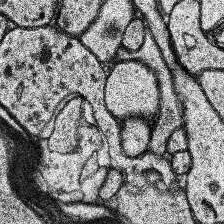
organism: Human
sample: Temporal Lobe